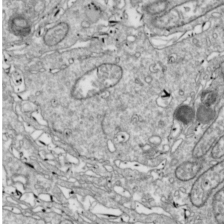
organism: Drosophila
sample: Cell division; meiosis; drosophila spermatocytes